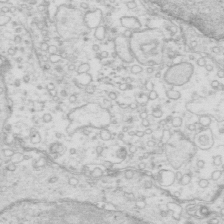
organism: Mouse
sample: Multiciliated cells